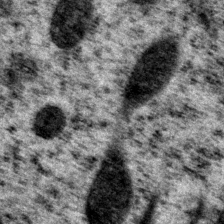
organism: P. pacificus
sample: Pharynx